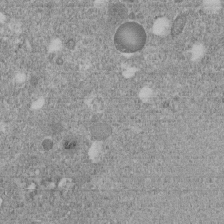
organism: C. elegans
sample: C. elegans embryo early stage